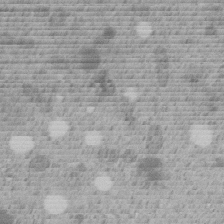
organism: C. elegans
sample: C. elegans embryo early stage